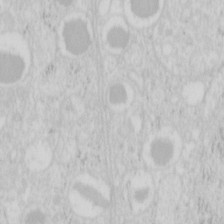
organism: Mouse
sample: Pancreas